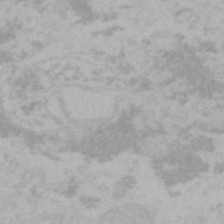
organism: Mouse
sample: Choroid plexus